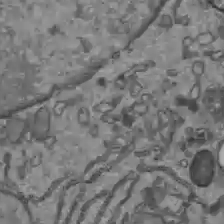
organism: C57BL Mouse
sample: Liver